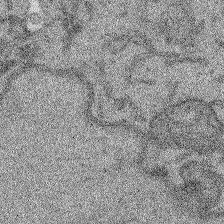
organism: Human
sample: HeLa cells